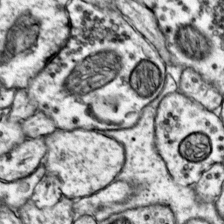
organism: Mouse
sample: Primary visual cortex